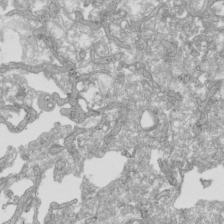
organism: Human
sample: Mitochondria in HCT116 cells